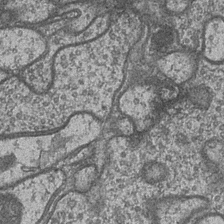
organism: Drosophila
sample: Optic medulla